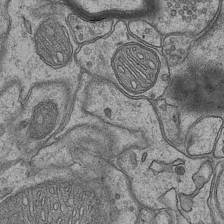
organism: Mouse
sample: CA1 Hippocampus